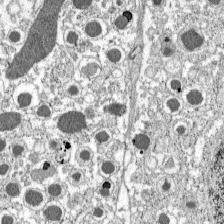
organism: C57BL Mouse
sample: Pancreatic islet